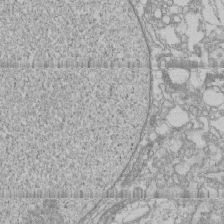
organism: Human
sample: CRL-1474